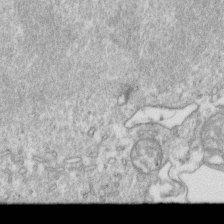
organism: Mouse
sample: Activated OT-1 CD8+ T cells